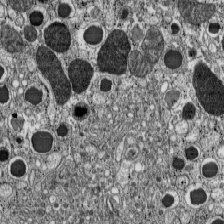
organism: C57BL Mouse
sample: Pancreatic islet